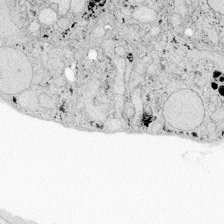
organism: Zebrafish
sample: Whole-Brain